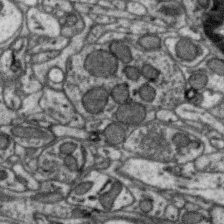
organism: Zebra finch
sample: Brain